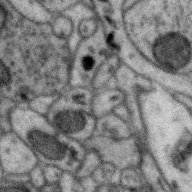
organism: Zebra finch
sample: Brain